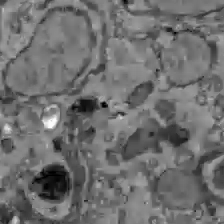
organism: C57BL Mouse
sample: Liver